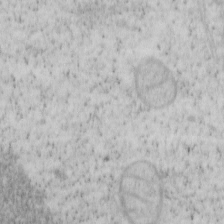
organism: Human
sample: HeLa cells